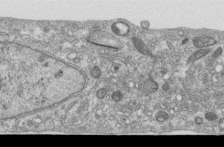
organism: Human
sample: Centriole in RPE cells